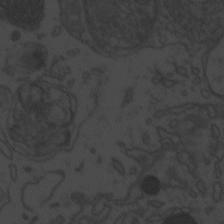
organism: Zebrafish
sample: Macrophage infected with Toxoplasma gondii